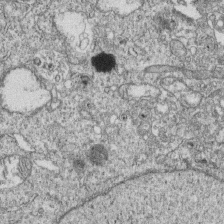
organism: Human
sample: HeLa cell HIV synapse